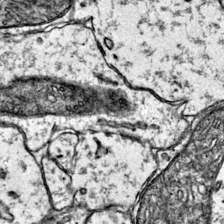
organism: Mouse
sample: Primary visual cortex